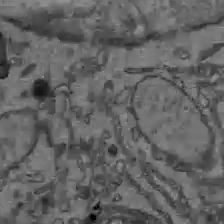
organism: C57BL Mouse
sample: Liver